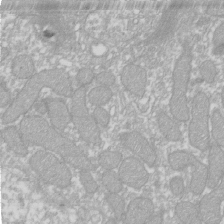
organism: Xenopus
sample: Cilia; centrioles in frog embryo cells